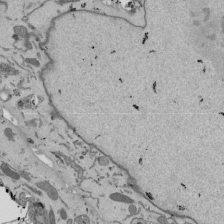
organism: Mouse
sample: ED-1 cell nuclei; centrioles